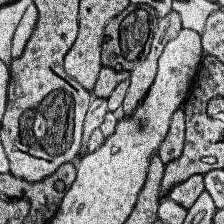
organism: Human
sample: Temporal Lobe